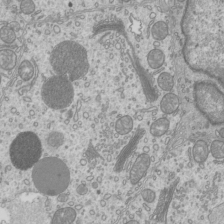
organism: Mouse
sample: Cilia; mouse epididymis